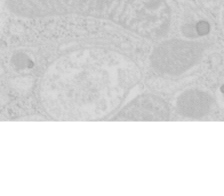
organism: Mouse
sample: Pancreas